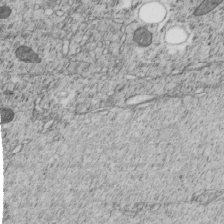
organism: C. elegans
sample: C. elegans embryo early stage